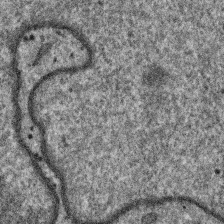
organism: Human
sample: Lung epithelial cells infected with SARS-CoV-2